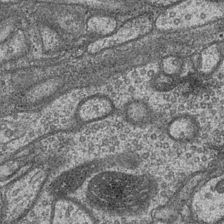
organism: Drosophila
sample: Optic medulla